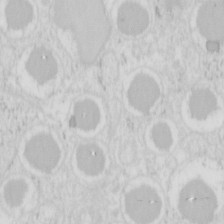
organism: Mouse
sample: Pancreas